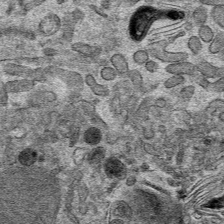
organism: Mouse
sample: Mouse hepatocytes